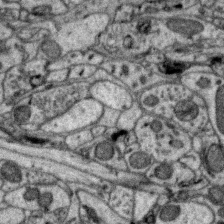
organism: Zebra finch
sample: Brain